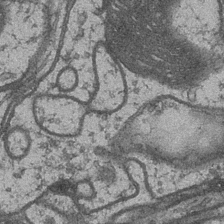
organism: Drosophila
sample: Optic medulla